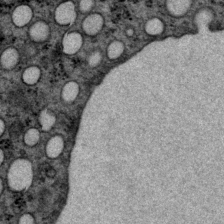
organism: P. pacificus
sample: Pharynx